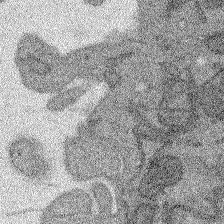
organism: Human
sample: HeLa cells